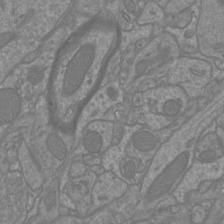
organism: Mouse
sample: Cortical neurons